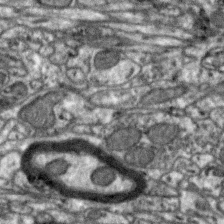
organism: Zebra finch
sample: Brain